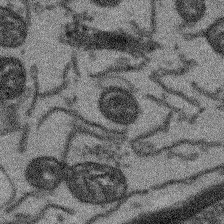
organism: Arabidopsis thaliana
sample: Root tip